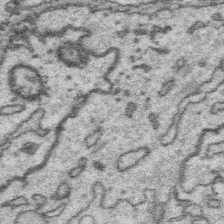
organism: Platynereis dumerilii